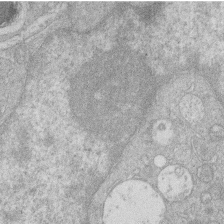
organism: Human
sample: Macrophage cells